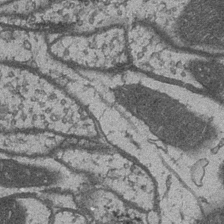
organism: Drosophila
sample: Optic medulla